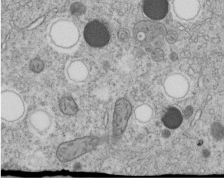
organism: C. elegans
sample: C. elegans embryo early stage